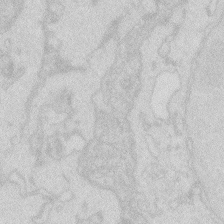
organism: Zebrafish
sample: Macrophage